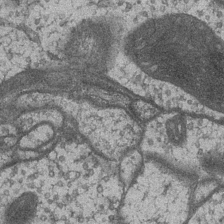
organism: Drosophila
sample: Optic medulla